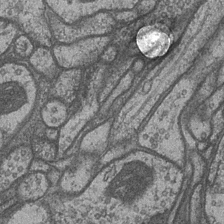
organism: Drosophila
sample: Optic medulla